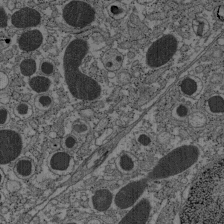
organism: C57BL Mouse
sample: Pancreatic islet